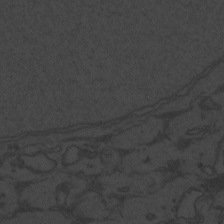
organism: Zebrafish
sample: Macrophage infected with Toxoplasma gondii